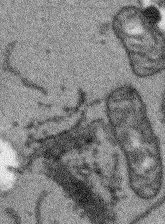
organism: Arabidopsis thaliana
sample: Root tip